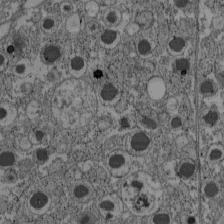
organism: C57BL Mouse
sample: Pancreatic islet